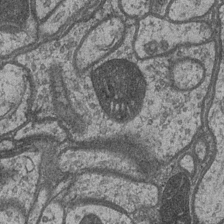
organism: Drosophila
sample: Optic medulla